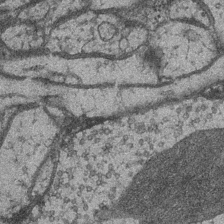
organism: Drosophila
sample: Optic medulla